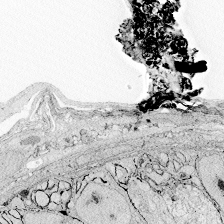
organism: Zebrafish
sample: Whole-Brain